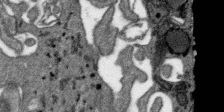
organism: Human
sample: Lung epithelial cells, uninfected (mock) control